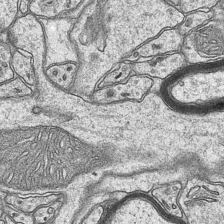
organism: Mouse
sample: CA1 Hippocampus